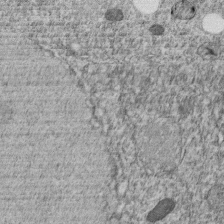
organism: C. elegans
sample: C. elegans embryo early stage